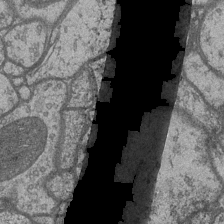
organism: Drosophila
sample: Optic medulla